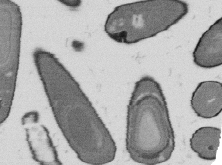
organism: B. subtilis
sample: Bacterial spore